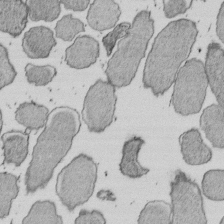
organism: E. coli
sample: Bacterial nucleoid